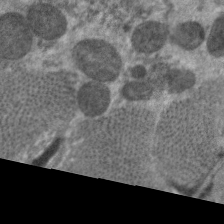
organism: C. elegans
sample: Pharynx